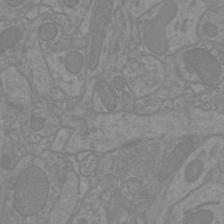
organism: Mouse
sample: Cortical neurons